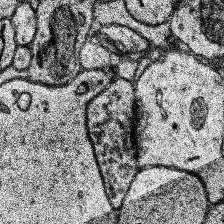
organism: Human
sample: Temporal Lobe